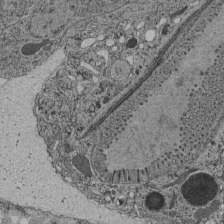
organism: C. elegans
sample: C. elegans pharynx